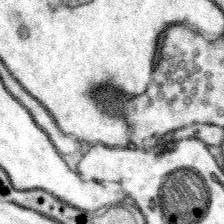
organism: Mouse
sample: Somatosensory cortex neuropil